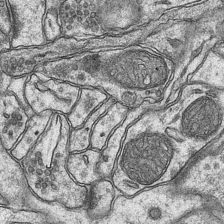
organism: Mouse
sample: CA1 Hippocampus